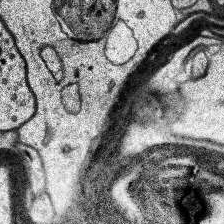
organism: Human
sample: Temporal Lobe